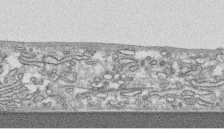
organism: Human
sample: CRL-1474